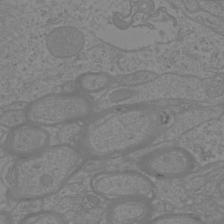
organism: Mouse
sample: Cortical neurons